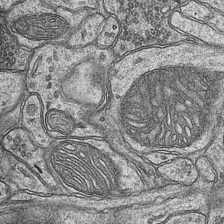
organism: Mouse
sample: CA1 Hippocampus